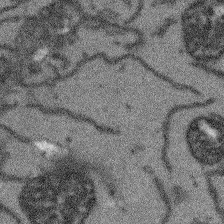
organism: Arabidopsis thaliana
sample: Root tip